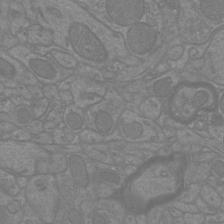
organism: Mouse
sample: Cortical neurons